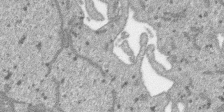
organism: Human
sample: Lung epithelial cells infected with SARS-CoV-2